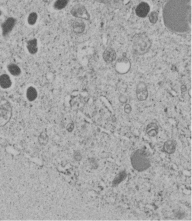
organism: C. elegans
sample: C. elegans embryo early stage